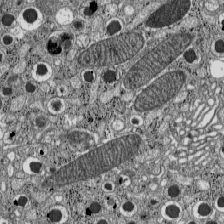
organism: C57BL Mouse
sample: Pancreatic islet